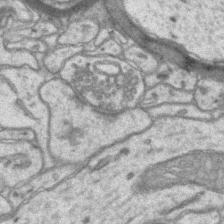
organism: Mouse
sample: CA1 Hippocampus